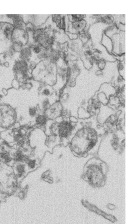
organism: Human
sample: HeLa cell HIV synapse